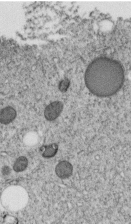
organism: C. elegans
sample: C. elegans embryo early stage